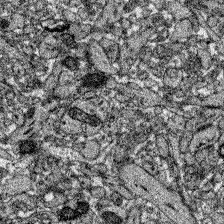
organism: Zebrafish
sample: Larval olfactory bulb